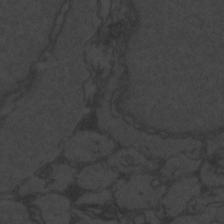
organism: Zebrafish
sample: Macrophage infected with Toxoplasma gondii